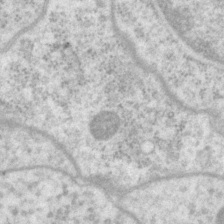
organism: P. pacificus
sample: Pharynx